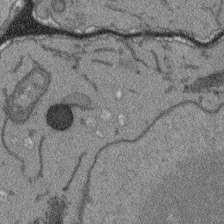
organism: Arabidopsis thaliana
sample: Root tip